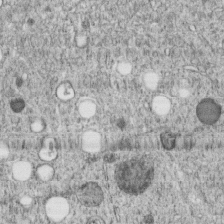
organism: C. elegans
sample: C. elegans embryo early stage